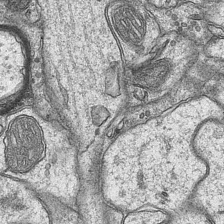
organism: Mouse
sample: CA1 Hippocampus